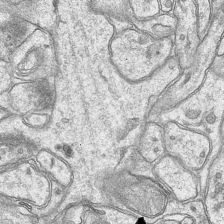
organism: Mouse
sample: CA1 Hippocampus